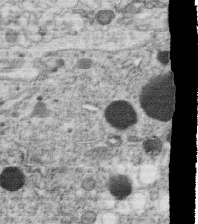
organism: C. elegans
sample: C. elegans oocyte; sperm cells